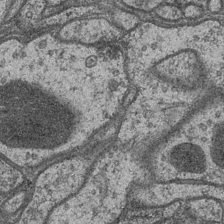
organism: Drosophila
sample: Optic medulla